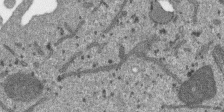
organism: Human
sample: Lung epithelial cells infected with SARS-CoV-2